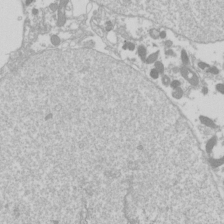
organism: Drosophila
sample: Cell division; meiosis; drosophila spermatocytes